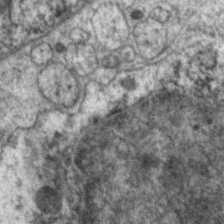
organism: C. elegans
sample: Pharynx